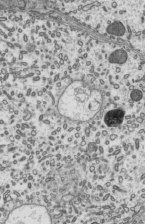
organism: Mouse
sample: Mouse epididymis efferent ductule cilia